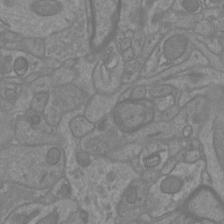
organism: Mouse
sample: Cortical neurons